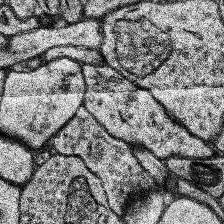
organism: Human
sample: Temporal Lobe